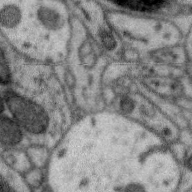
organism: Zebra finch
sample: Brain